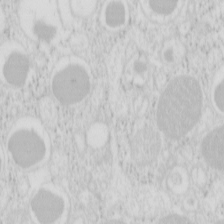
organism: Mouse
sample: Pancreas